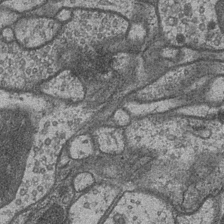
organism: Drosophila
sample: Optic medulla